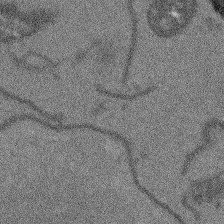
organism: Arabidopsis thaliana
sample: Root tip